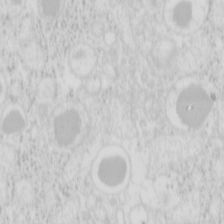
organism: Mouse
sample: Pancreas